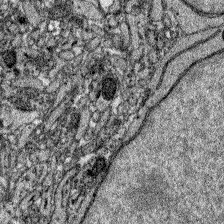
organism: Zebrafish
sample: Larval olfactory bulb